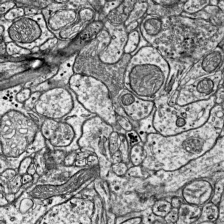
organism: Mouse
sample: Visual Cortex